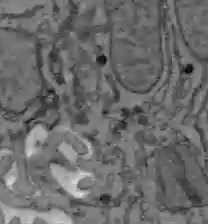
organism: C57BL Mouse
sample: Liver